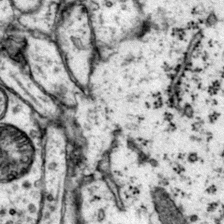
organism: Mouse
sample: Primary visual cortex